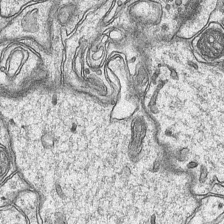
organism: Mouse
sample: CA1 Hippocampus